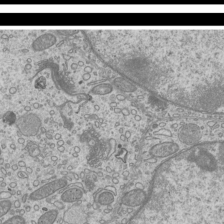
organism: Mouse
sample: Cilia; mouse epididymis